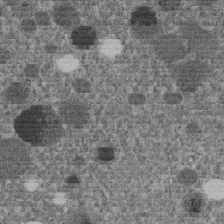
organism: C. elegans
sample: C. elegans embryo early stage